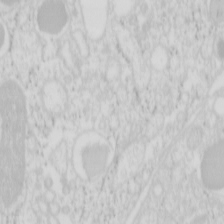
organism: Mouse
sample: Pancreas